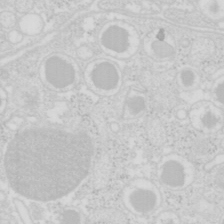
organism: Mouse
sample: Pancreas